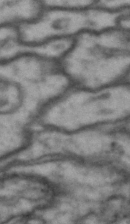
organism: Drosophila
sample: Brain